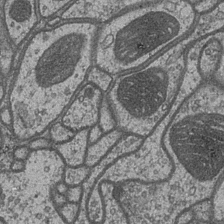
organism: Drosophila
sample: Optic medulla